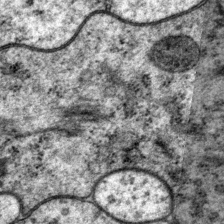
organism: P. pacificus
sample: Pharynx